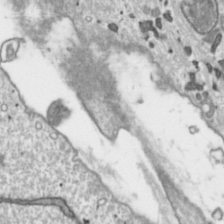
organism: Toxoplasma gondii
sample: Parasites in a vacuole inside a host cell